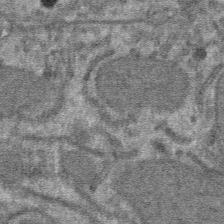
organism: Mouse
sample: Mouse hepatocytes